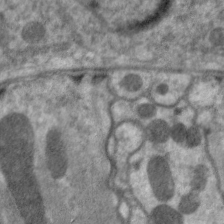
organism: C. elegans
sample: Pharynx